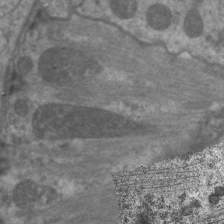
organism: C. elegans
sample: Pharynx